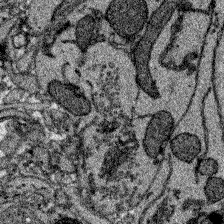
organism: Zebrafish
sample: Larval olfactory bulb